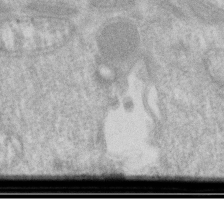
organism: Drosophila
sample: Cell division; meiosis; drosophila spermatocytes